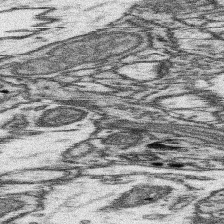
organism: Mouse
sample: Somatosensory cortex neuropil